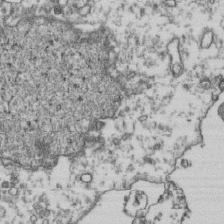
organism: Human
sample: Activated Jurkat CD4+ T cells